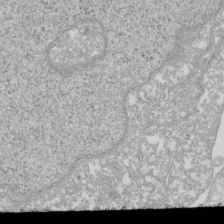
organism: Xenopus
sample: Cilia; centrioles in frog embryo cells